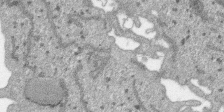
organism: Human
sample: Lung epithelial cells infected with SARS-CoV-2